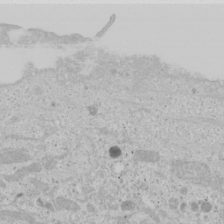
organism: Human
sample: Mitochondria in U2OS cells